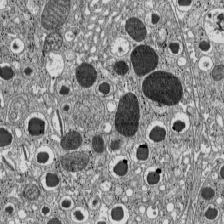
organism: C57BL Mouse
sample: Pancreatic islet